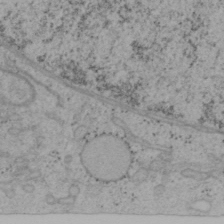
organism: Human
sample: HeLa cells